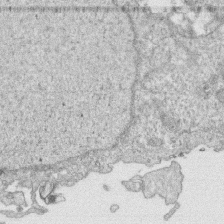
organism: Human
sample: HeLa cell HIV synapse